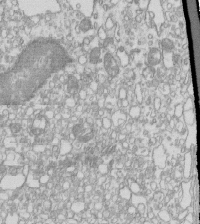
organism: Mouse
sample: Macrophages